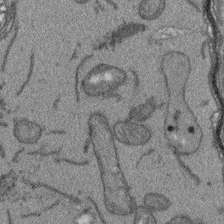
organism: Arabidopsis thaliana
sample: Root tip